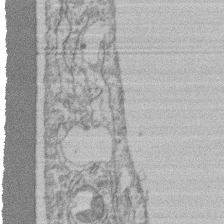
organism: Mouse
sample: T cell stromal cell synapse